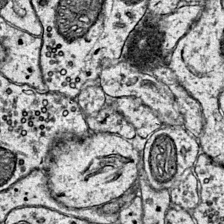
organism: Mouse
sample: Primary visual cortex